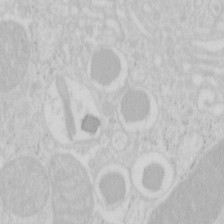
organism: Mouse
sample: Pancreas